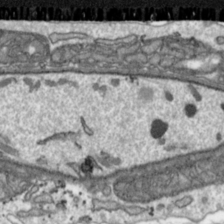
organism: Toxoplasma gondii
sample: Parasites in a vacuole inside a host cell